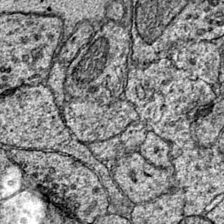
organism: Mouse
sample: Primary visual cortex